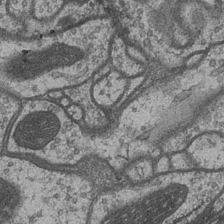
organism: Drosophila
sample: Optic medulla